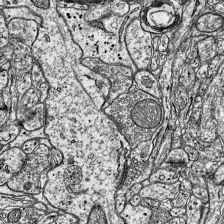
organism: Mouse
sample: Visual Cortex